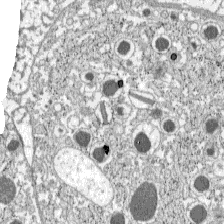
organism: C57BL Mouse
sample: Pancreatic islet